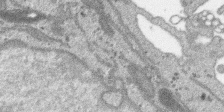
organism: Human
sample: Lung epithelial cells infected with SARS-CoV-2